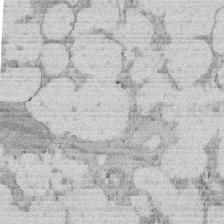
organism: Rat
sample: Salivary granule